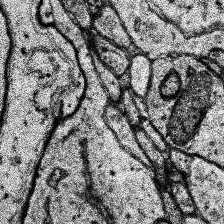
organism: Human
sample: Temporal Lobe